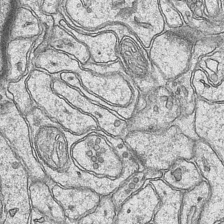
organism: Mouse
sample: CA1 Hippocampus